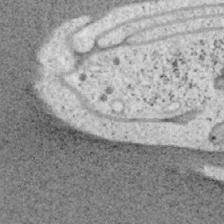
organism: Mouse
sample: OT-I killer T cells with ID8 ovarian cancer cells